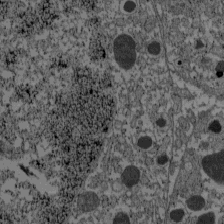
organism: C57BL Mouse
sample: Pancreatic islet